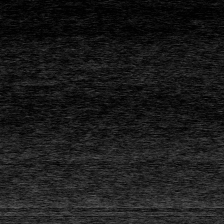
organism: Human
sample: HeLa cells